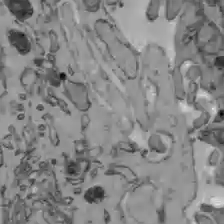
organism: C57BL Mouse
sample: Liver